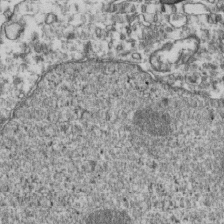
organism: Human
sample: Activated Jurkat CD4+ T cells